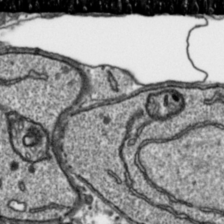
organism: Toxoplasma gondii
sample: Parasites in a vacuole inside a host cell